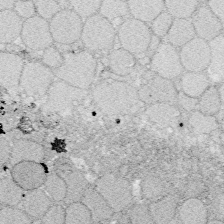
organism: Zebrafish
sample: Whole-Brain